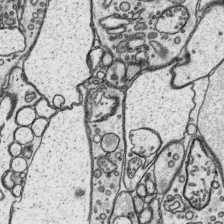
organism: Platynereis dumerilii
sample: Parapodia